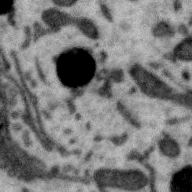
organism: Zebra finch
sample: Brain